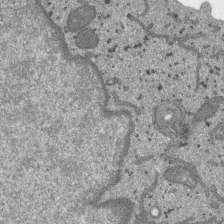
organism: Human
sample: Lung epithelial cells infected with SARS-CoV-2